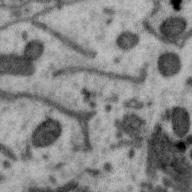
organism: Zebra finch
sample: Brain